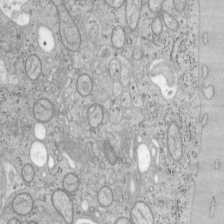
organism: Mouse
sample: OT-I killer T cells with ID8 ovarian cancer cells